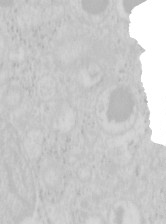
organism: Mouse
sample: Pancreas